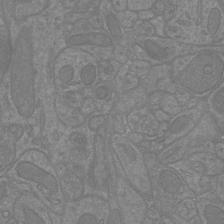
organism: Mouse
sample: Cortical neurons